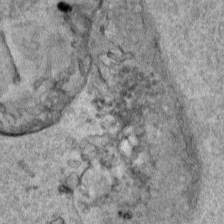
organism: Human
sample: Mitochondria in HCT116 cells